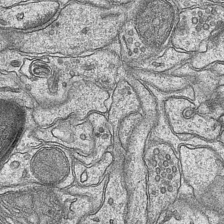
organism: Mouse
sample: CA1 Hippocampus